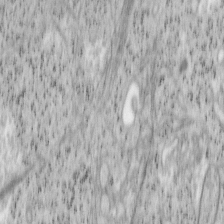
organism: Human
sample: HeLa cells